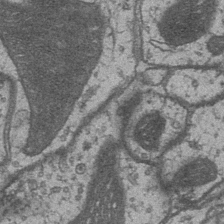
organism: Drosophila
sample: Optic medulla